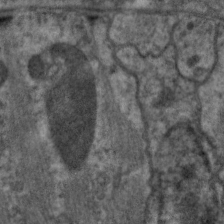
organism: C. elegans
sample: Pharynx